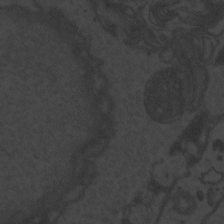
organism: Zebrafish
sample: Macrophage infected with Toxoplasma gondii